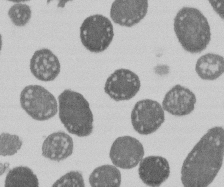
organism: E. coli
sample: Bacterial nucleoid